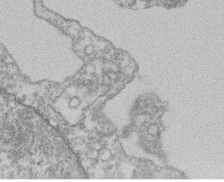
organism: Mouse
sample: T cell stromal cell synapse